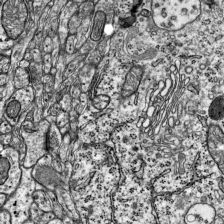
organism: Mouse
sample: Visual Cortex